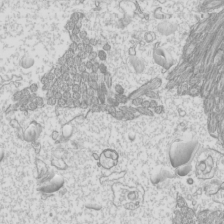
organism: Mouse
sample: Cilia; mouse epididymis